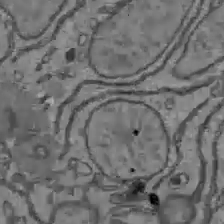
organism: C57BL Mouse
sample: Liver